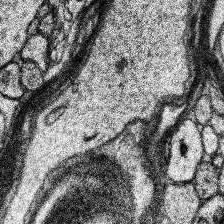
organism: Human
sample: Temporal Lobe